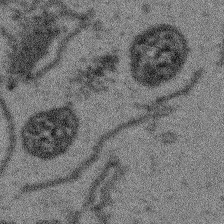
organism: Arabidopsis thaliana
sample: Root tip